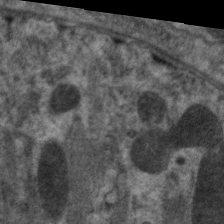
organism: C. elegans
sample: Pharynx